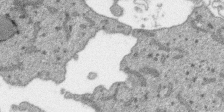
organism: Human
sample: Lung epithelial cells infected with SARS-CoV-2